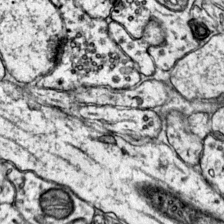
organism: Mouse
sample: Primary visual cortex